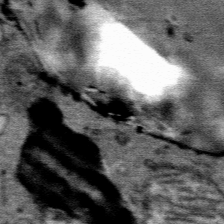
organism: Mouse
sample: Mouse Salivary gland